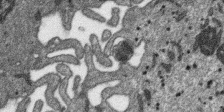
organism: Human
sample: Lung epithelial cells infected with SARS-CoV-2